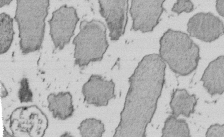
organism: E. coli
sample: Bacterial nucleoid